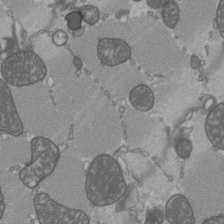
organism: C57BL Mouse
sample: Heart